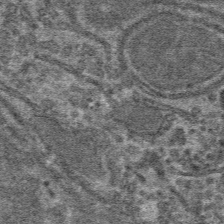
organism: Mouse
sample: Mouse hepatocytes